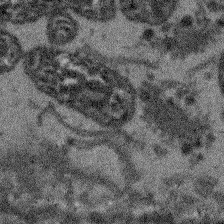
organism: Arabidopsis thaliana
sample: Root tip